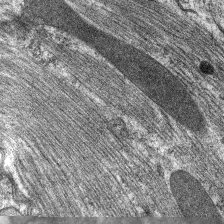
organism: C. elegans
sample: Pharynx